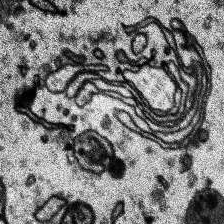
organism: Human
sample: Temporal Lobe